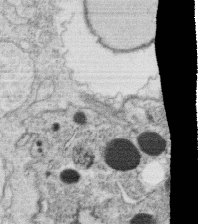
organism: C. elegans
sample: C. elegans oocyte; sperm cells